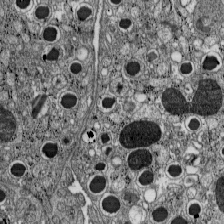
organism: C57BL Mouse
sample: Pancreatic islet